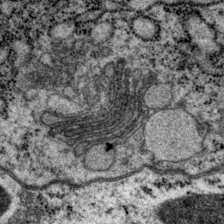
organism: P. pacificus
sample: Pharynx